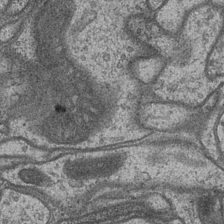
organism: Drosophila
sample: Optic medulla